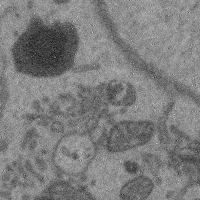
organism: Mouse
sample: Cerebral cortex